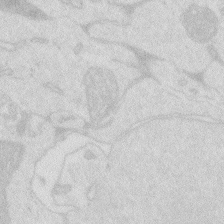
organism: Zebrafish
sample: Macrophage